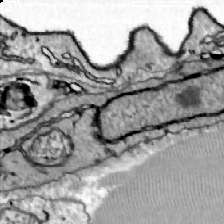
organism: Zebrafish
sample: Actinotrichia fibers